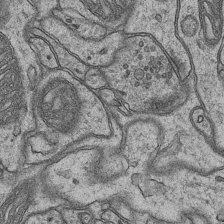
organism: Mouse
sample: CA1 Hippocampus